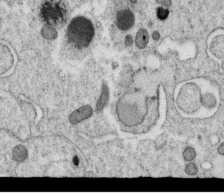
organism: C. elegans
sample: C. elegans oocyte; sperm cells